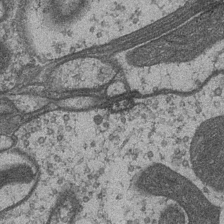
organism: Drosophila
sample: Optic medulla